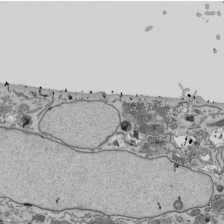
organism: Mouse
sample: ED-1 cell nuclei; centrioles